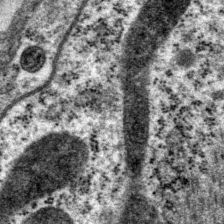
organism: P. pacificus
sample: Pharynx